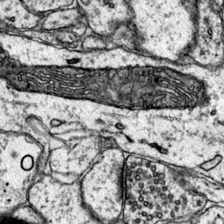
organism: Mouse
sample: Primary visual cortex